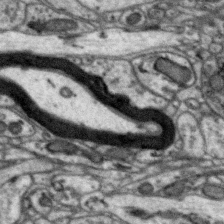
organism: Zebra finch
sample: Brain